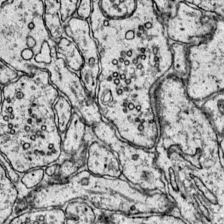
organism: Mouse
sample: Primary visual cortex